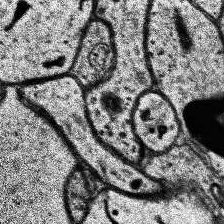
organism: Human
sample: Temporal Lobe